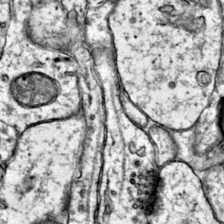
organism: Mouse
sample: Primary visual cortex